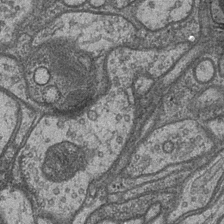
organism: Drosophila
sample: Optic medulla